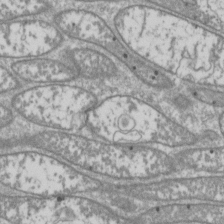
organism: Drosophila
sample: Cell division; meiosis; drosophila spermatocytes